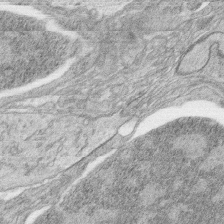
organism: Zebrafish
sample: synaptic ribbons in rod cells and cone cells